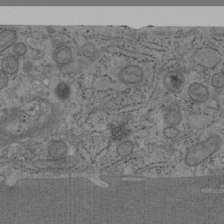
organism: Human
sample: HeLa cells